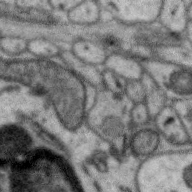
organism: Zebra finch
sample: Brain